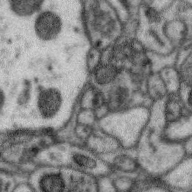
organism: Zebra finch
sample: Brain